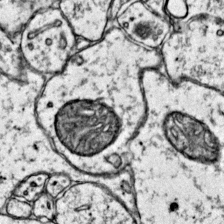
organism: Mouse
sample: Primary visual cortex